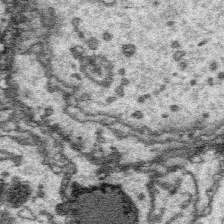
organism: Platynereis dumerilii